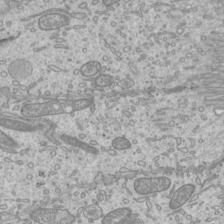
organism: Mouse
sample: Cilia; mouse epididymis